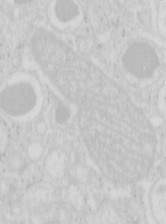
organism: Mouse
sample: Pancreas